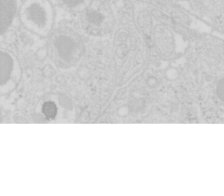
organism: Mouse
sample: Pancreas